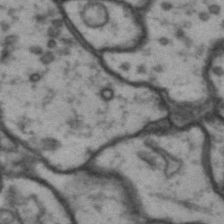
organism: Drosophila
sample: Brain